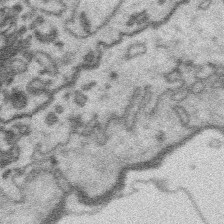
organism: Platynereis dumerilii